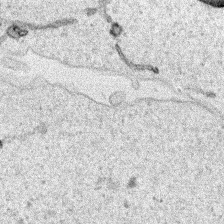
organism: Human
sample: Mitochondria in HCT116 cells